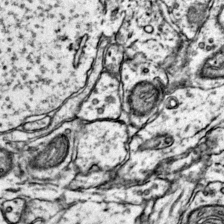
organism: Mouse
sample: Primary visual cortex